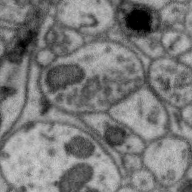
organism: Zebra finch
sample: Brain